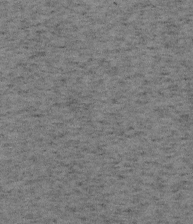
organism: Mouse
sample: OT-I killer T cells with ID8 ovarian cancer cells